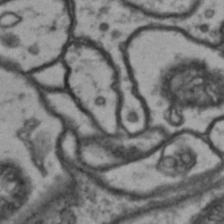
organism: Drosophila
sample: Brain